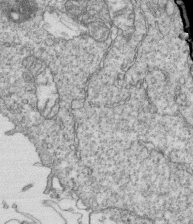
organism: Human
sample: HeLa cell HIV synapse